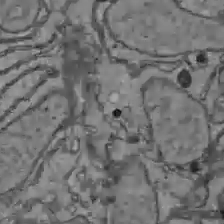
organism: C57BL Mouse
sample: Liver